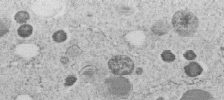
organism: C. elegans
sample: C. elegans embryo early stage